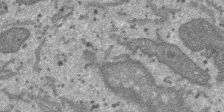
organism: Human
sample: Lung epithelial cells infected with SARS-CoV-2